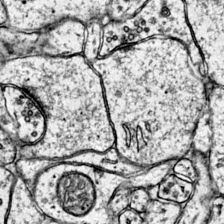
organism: Mouse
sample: Primary visual cortex